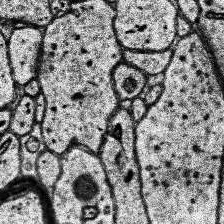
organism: Human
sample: Temporal Lobe